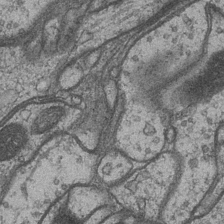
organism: Drosophila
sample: Optic medulla